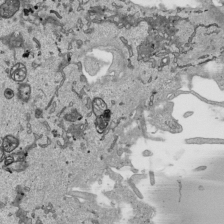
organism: Human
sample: Mitochondria in HCT116 cells